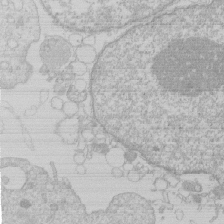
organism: Human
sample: Macrophage cells